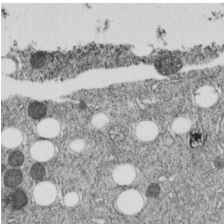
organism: C. elegans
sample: C. elegans embryo early stage